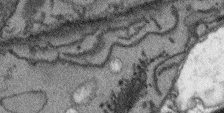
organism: Arabidopsis thaliana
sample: Root tip